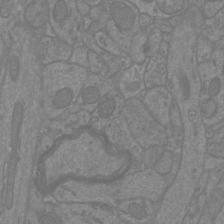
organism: Mouse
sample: Cortical neurons